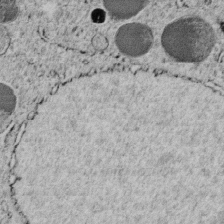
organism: C. elegans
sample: C. elegans embryo early stage